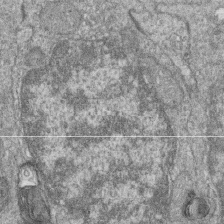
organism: Zebrafish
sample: Cilia; retinal pigment epithelium